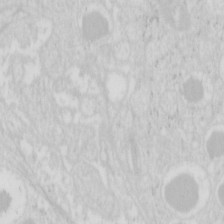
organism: Mouse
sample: Pancreas